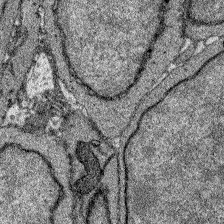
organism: Zebrafish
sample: Larval olfactory bulb